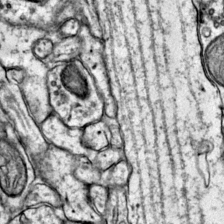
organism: Mouse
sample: Primary visual cortex